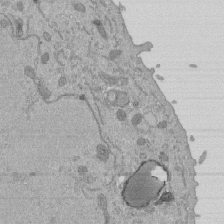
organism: Mouse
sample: ED-1 cell nuclei; centrioles